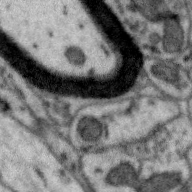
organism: Zebra finch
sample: Brain